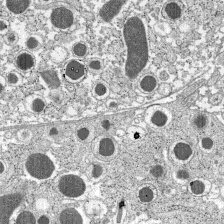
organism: C57BL Mouse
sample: Pancreatic islet